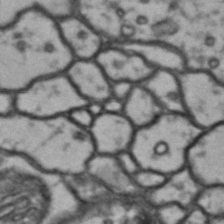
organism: Drosophila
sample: Brain